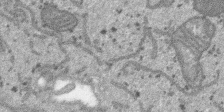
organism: Human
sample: Lung epithelial cells infected with SARS-CoV-2